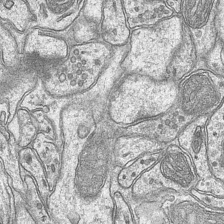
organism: Mouse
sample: CA1 Hippocampus